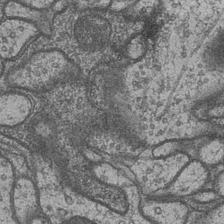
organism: Drosophila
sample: Optic medulla